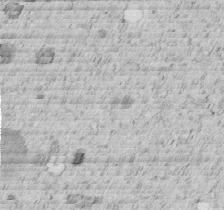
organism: C. elegans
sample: C. elegans embryo early stage